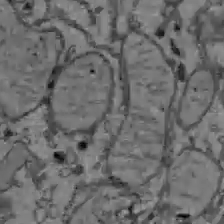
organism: C57BL Mouse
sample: Liver